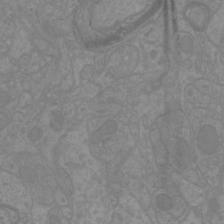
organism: Mouse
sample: Cortical neurons